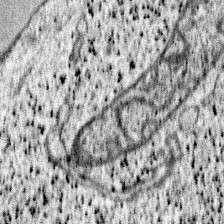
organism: Human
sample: HeLa cells